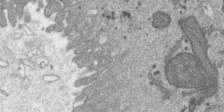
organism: Human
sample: Lung epithelial cells infected with SARS-CoV-2